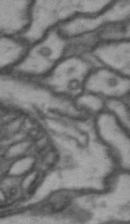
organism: Drosophila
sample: Brain